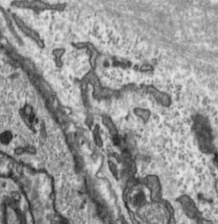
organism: Toxoplasma gondii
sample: Parasites in a vacuole inside a host cell